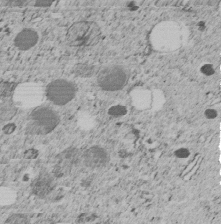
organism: C. elegans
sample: C. elegans embryo early stage